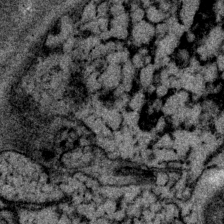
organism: P. pacificus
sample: Pharynx